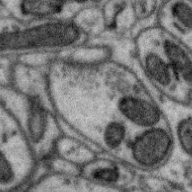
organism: Zebra finch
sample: Brain